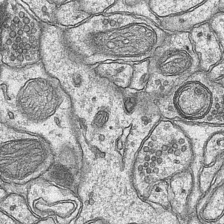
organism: Mouse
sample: CA1 Hippocampus